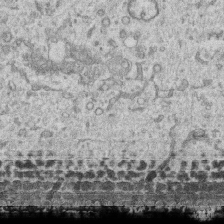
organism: Human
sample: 1205lu cells